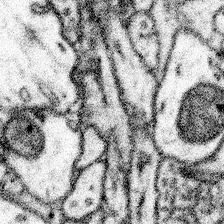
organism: Mouse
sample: Somatosensory cortex neuropil